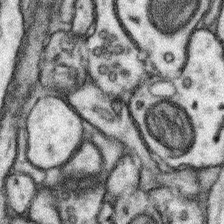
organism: Mouse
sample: Somatosensory cortex neuropil